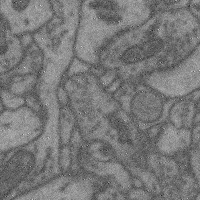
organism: Mouse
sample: Cerebral cortex